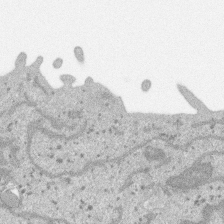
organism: Human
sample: Lung epithelial cells infected with SARS-CoV-2